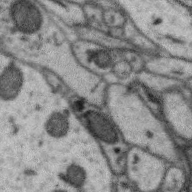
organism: Zebra finch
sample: Brain